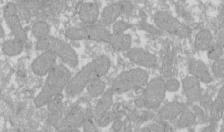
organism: Xenopus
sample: Cilia; centrioles in frog embryo cells